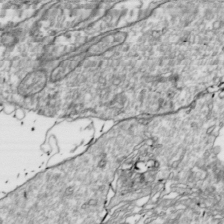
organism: Drosophila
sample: Cell division; meiosis; drosophila spermatocytes